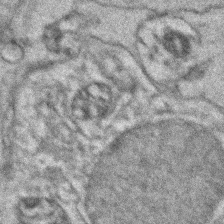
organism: Zebrafish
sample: Zebrafish embryo